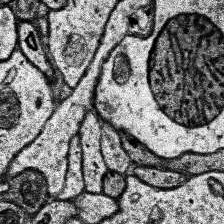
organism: Human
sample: Temporal Lobe